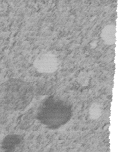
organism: C. elegans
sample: C. elegans embryo early stage